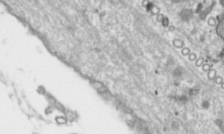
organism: Toxoplasma gondii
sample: Parasites in a vacuole inside a host cell